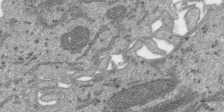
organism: Human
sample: Lung epithelial cells infected with SARS-CoV-2